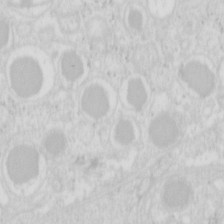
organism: Mouse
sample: Pancreas